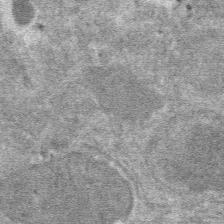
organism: Mouse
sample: Mouse hepatocytes